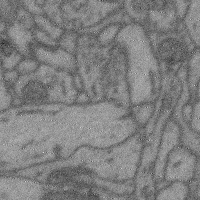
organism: Mouse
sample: Cerebral cortex